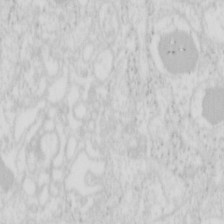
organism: Mouse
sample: Pancreas